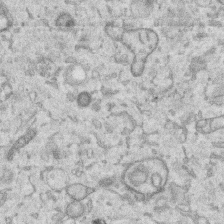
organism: Human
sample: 1205lu cells